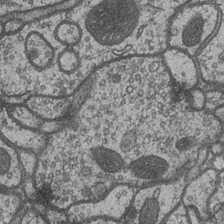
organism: Drosophila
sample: Optic medulla